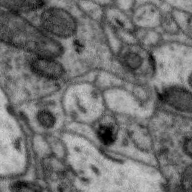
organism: Zebra finch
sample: Brain